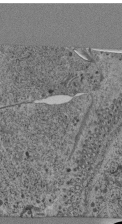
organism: C. elegans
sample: C. elegans pharynx